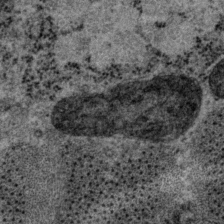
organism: P. pacificus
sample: Pharynx